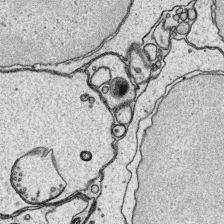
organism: Platynereis dumerilii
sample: Parapodia